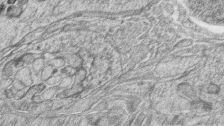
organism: Zebrafish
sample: synaptic ribbons in rod cells and cone cells